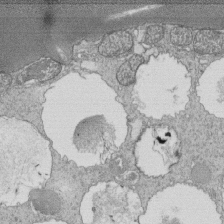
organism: Tetrahymena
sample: Cilia in tetrahymena